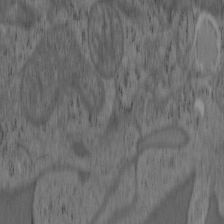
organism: Human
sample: HeLa cells